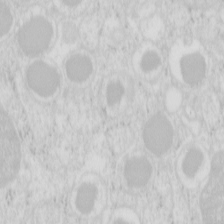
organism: Mouse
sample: Pancreas